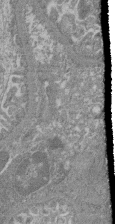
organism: Mouse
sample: Glomerulus